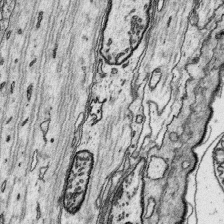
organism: Platynereis dumerilii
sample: Parapodia